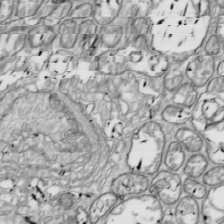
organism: Drosophila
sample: Cell division; meiosis; drosophila spermatocytes